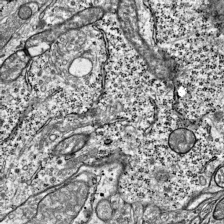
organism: Mouse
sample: Visual Cortex